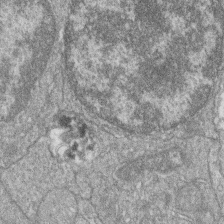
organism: Zebrafish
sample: Cilia; retinal pigment epithelium